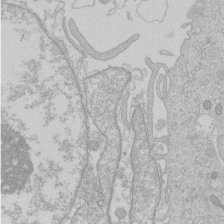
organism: Human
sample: Macrophage cells